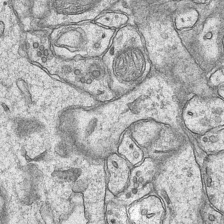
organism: Mouse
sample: CA1 Hippocampus